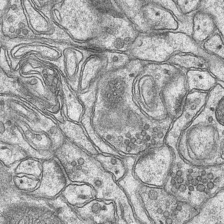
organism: Mouse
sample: CA1 Hippocampus